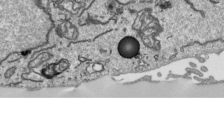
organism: Human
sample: Mitochondria in HCT116 cells